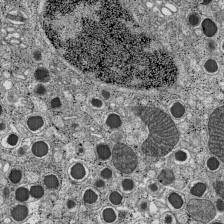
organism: C57BL Mouse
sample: Pancreatic islet